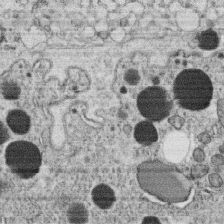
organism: C. elegans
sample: C. elegans oocyte; sperm cells